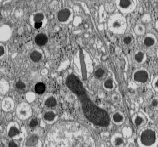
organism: C57BL Mouse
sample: Pancreatic islet